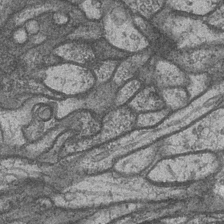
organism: Drosophila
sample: Optic medulla